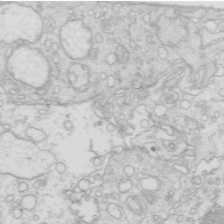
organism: Mouse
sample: Multiciliated cells